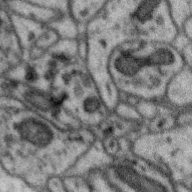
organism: Zebra finch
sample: Brain